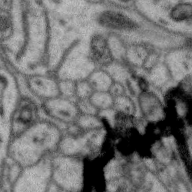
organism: Zebra finch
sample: Brain